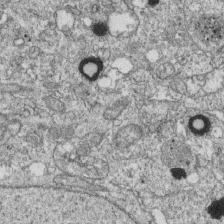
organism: Human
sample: HeLa cell HIV synapse